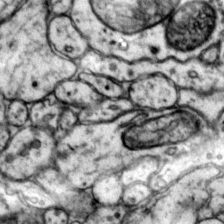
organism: Mouse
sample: Primary visual cortex